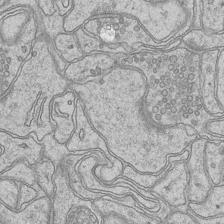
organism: Mouse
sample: CA1 Hippocampus